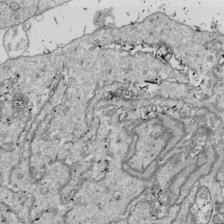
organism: Drosophila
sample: Cell division; meiosis; drosophila spermatocytes